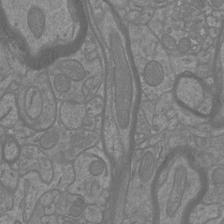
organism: Mouse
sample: Cortical neurons